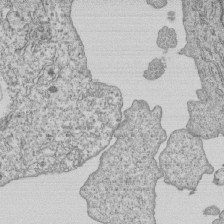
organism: Human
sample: MDA-MB-231 cells